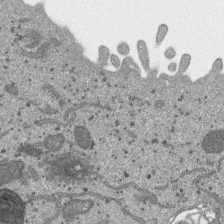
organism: Human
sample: Lung epithelial cells infected with SARS-CoV-2